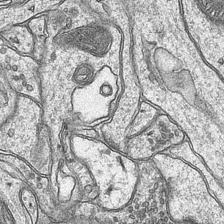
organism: Mouse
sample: CA1 Hippocampus